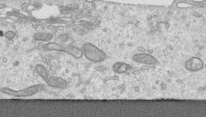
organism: Human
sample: Centriole in RPE cells